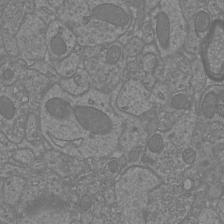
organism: Mouse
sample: Cortical neurons